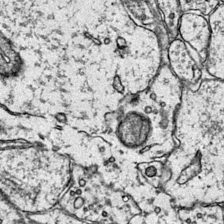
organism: Mouse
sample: Primary visual cortex